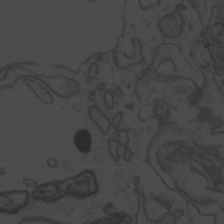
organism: Zebrafish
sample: Macrophage infected with Toxoplasma gondii